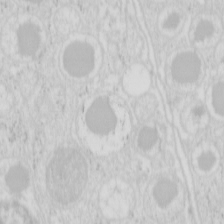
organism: Mouse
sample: Pancreas